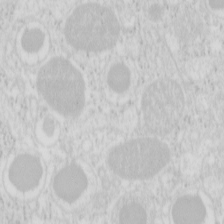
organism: Mouse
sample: Pancreas